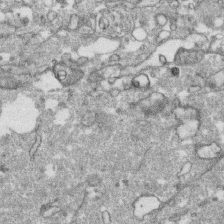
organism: Human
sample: CRL-1474